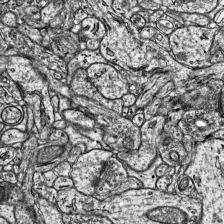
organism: Mouse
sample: Visual Cortex